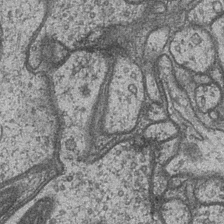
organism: Drosophila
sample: Optic medulla